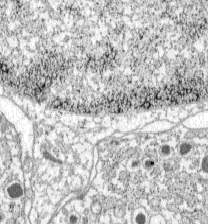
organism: C57BL Mouse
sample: Pancreatic islet